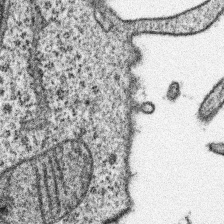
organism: Human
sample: HeLa cells